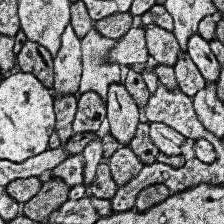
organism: Human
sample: Temporal Lobe